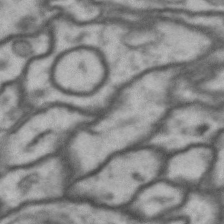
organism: Drosophila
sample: Brain